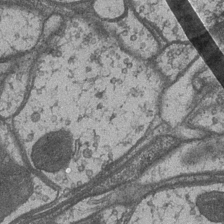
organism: Drosophila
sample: Optic medulla